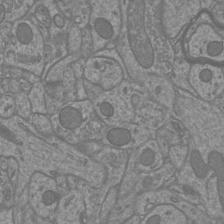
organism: Mouse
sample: Cortical neurons